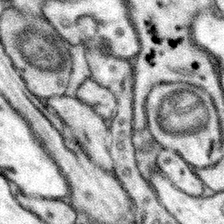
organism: Mouse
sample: Somatosensory cortex neuropil